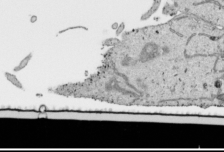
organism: Human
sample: Mitochondria in HCT116 cells